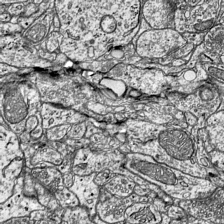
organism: Mouse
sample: Visual Cortex